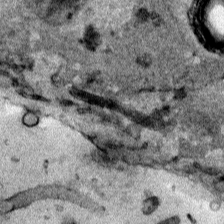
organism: Human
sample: Mitochondria in HCT116 cells